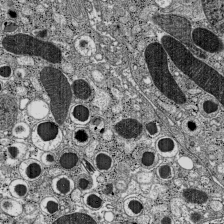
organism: C57BL Mouse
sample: Pancreatic islet